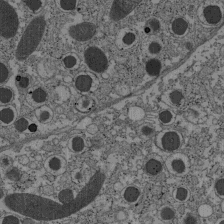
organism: C57BL Mouse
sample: Pancreatic islet